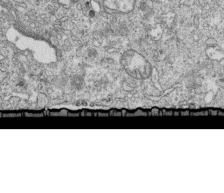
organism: Human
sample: HeLa cell HIV synapse